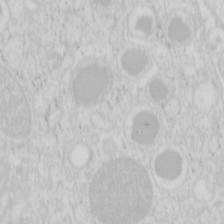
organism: Mouse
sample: Pancreas